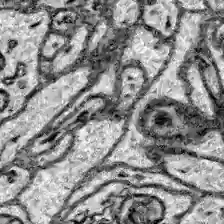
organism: Zebrafish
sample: Brain